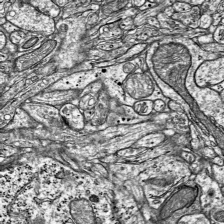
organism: Mouse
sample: Visual Cortex